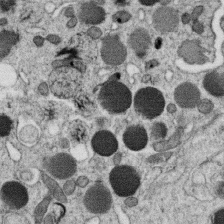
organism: C. elegans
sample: C. elegans oocyte; sperm cells